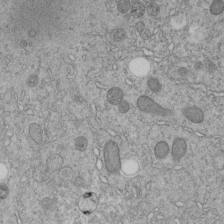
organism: C. elegans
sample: C. elegans embryo early stage